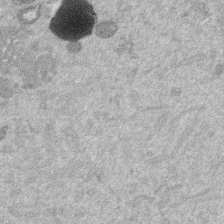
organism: Mouse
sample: Dividing mouse embryo 1 cell stage